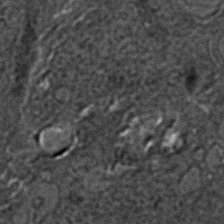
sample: Trachea